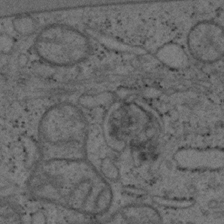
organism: Human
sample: HeLa cells